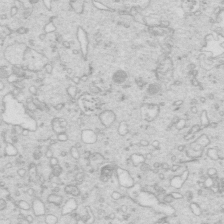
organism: Mouse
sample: Multiciliated cells